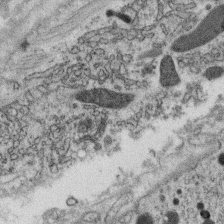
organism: C. elegans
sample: C. elegans oocyte; sperm cells